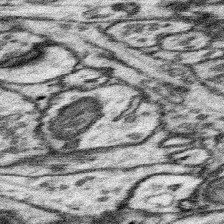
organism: Mouse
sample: Somatosensory cortex neuropil